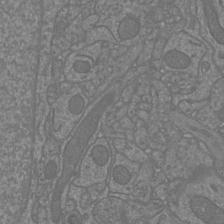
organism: Mouse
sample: Cortical neurons